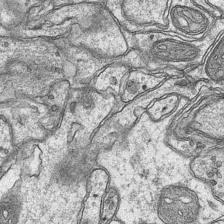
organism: Mouse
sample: CA1 Hippocampus